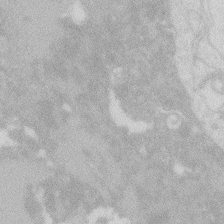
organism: Zebrafish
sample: Macrophage